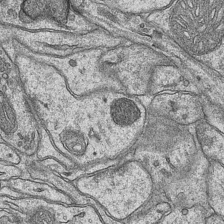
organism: Mouse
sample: CA1 Hippocampus